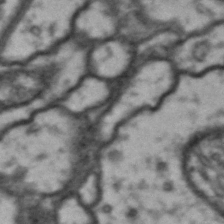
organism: Drosophila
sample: Brain